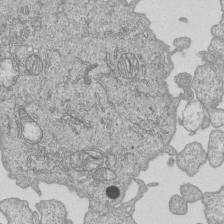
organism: Human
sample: MDA-MB-231 cells